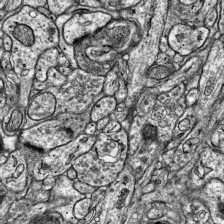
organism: Mouse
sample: Visual Cortex